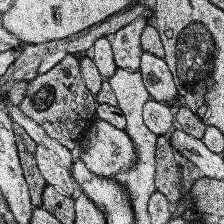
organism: Human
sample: Temporal Lobe